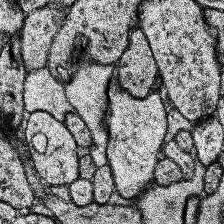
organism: Human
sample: Temporal Lobe